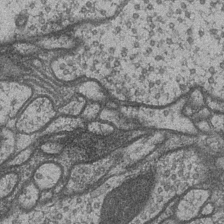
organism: Drosophila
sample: Optic medulla